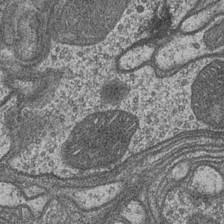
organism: Drosophila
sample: Optic medulla